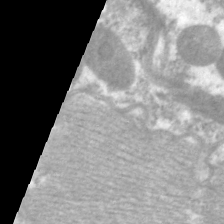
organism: C. elegans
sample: Pharynx